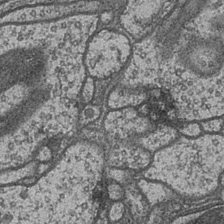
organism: Drosophila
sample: Optic medulla